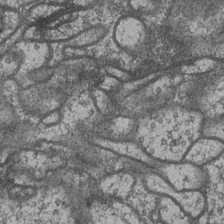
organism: Drosophila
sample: Optic medulla